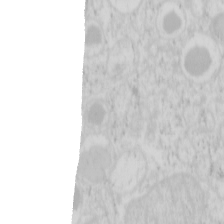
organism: Mouse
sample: Pancreas